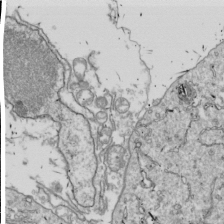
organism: Drosophila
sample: Cell division; meiosis; drosophila spermatocytes